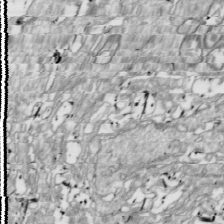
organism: Drosophila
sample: Cell division; meiosis; drosophila spermatocytes